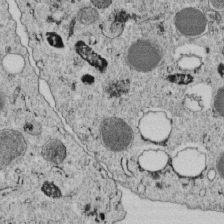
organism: C. elegans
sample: C. elegans embryo early stage